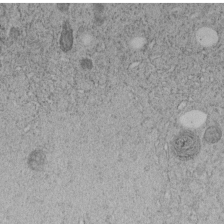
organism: C. elegans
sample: C. elegans embryo early stage